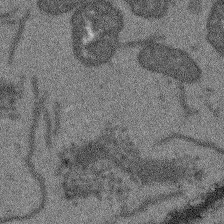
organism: Arabidopsis thaliana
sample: Root tip